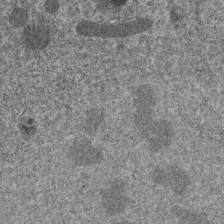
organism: C. elegans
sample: C. elegans embryo early stage